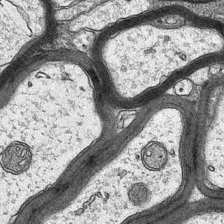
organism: Mouse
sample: CA1 Hippocampus